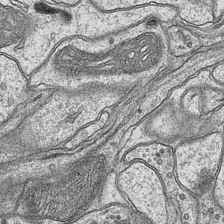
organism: Mouse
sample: CA1 Hippocampus